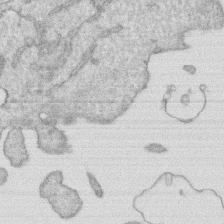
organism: Human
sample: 1205lu cells